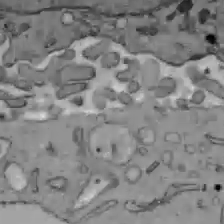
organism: C57BL Mouse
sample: Liver